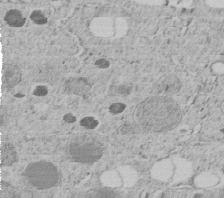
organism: C. elegans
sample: C. elegans embryo early stage